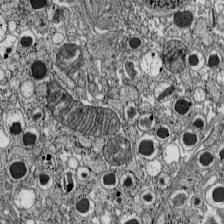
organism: C57BL Mouse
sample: Pancreatic islet